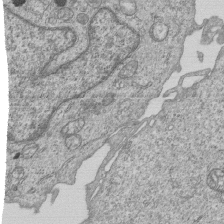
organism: Human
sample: MDA-MB-231 cells